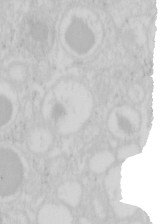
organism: Mouse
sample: Pancreas